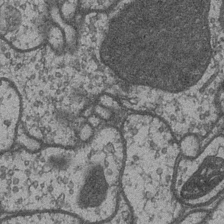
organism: Drosophila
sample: Optic medulla